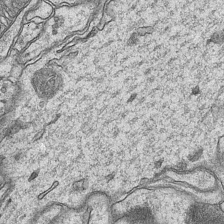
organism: Mouse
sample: CA1 Hippocampus